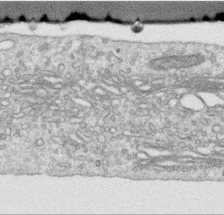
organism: Human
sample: Centriole in RPE cells